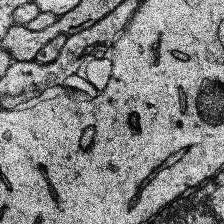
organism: Human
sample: Temporal Lobe